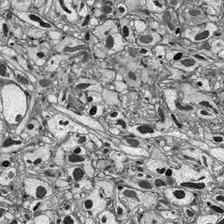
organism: Drosophila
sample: Optic lobe